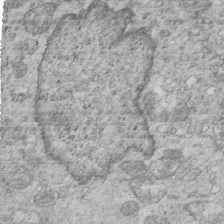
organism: Mouse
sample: Multiciliated cells